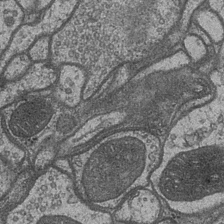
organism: Drosophila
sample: Optic medulla